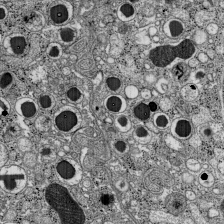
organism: C57BL Mouse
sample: Pancreatic islet